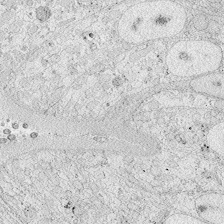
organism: Zebrafish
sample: Whole-Brain